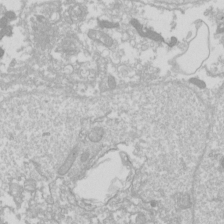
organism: Drosophila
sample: Cell division; meiosis; drosophila spermatocytes